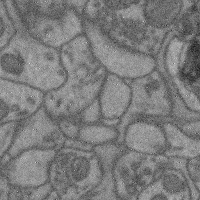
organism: Mouse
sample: Cerebral cortex